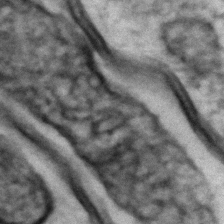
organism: Zebrafish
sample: Zebrafish embryo